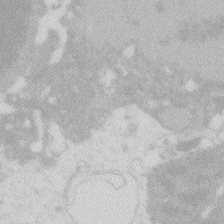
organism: Zebrafish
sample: Macrophage